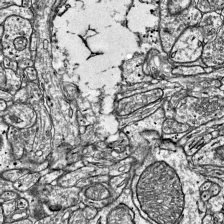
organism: Mouse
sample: Visual Cortex